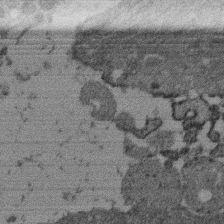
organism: Mouse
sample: Dividing mouse embryo 1 cell stage